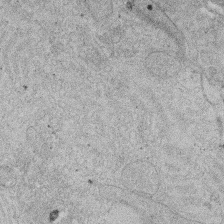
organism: Rat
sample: Salivary granule